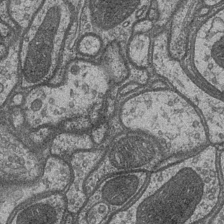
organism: Drosophila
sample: Optic medulla